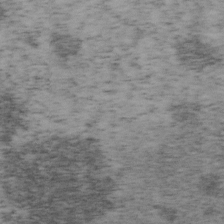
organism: Mouse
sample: OT-I killer T cells with ID8 ovarian cancer cells